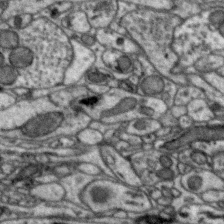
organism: Zebra finch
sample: Brain